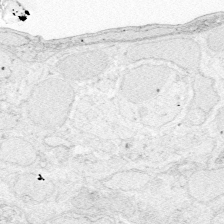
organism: Zebrafish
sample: Whole-Brain